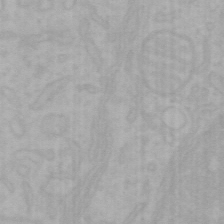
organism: Mouse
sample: Choroid plexus